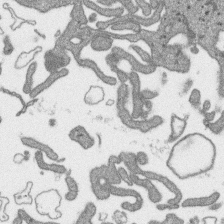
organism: Human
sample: Lung epithelial cells infected with SARS-CoV-2